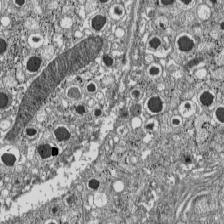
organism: C57BL Mouse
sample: Pancreatic islet